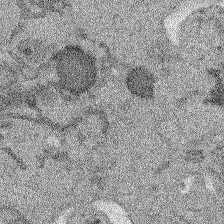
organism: Human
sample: HeLa cells